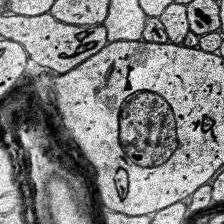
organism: Human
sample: Temporal Lobe